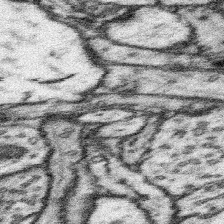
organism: Mouse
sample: Somatosensory cortex neuropil